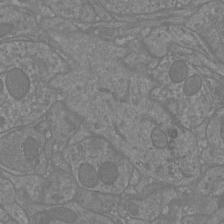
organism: Mouse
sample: Cortical neurons